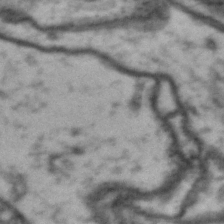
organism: Drosophila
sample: Brain